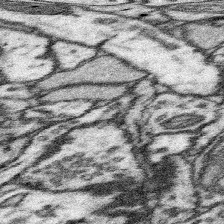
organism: Mouse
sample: Somatosensory cortex neuropil